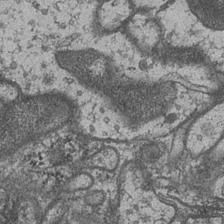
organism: Drosophila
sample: Optic medulla